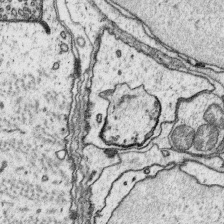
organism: Platynereis dumerilii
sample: Parapodia